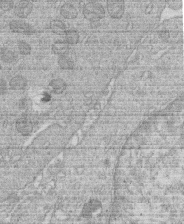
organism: Human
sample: Macrophage cells